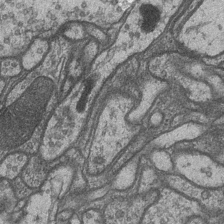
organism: Drosophila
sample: Optic medulla